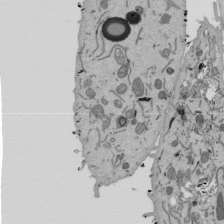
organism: Mouse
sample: ED-1 cell nuclei; centrioles